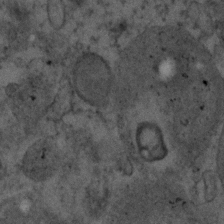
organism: Human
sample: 1205lu cells